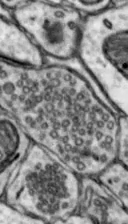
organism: Mouse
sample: Nucleus accumbens